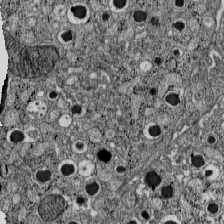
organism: C57BL Mouse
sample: Pancreatic islet